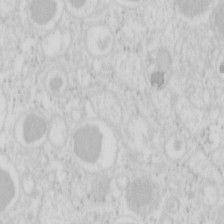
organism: Mouse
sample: Pancreas